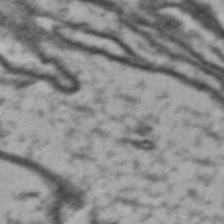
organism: Drosophila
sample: Brain